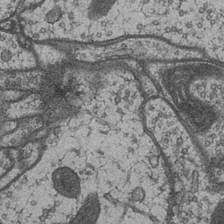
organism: Drosophila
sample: Optic medulla